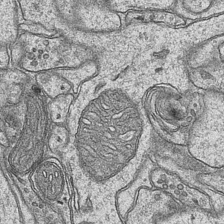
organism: Mouse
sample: CA1 Hippocampus